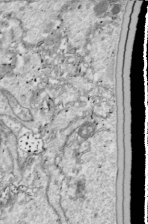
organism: Drosophila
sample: Cell division; meiosis; drosophila spermatocytes